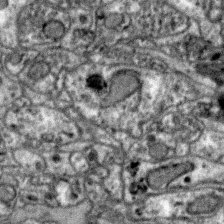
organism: Zebra finch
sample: Brain